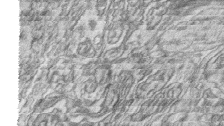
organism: Zebrafish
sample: synaptic ribbons in rod cells and cone cells